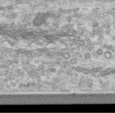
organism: Human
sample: Centriole in RPE cells